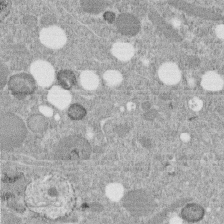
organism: C. elegans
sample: C. elegans embryo early stage